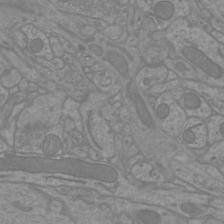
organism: Mouse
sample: Cortical neurons